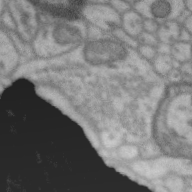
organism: Zebra finch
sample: Brain